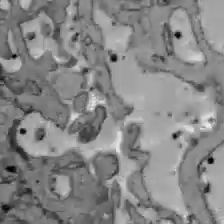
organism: C57BL Mouse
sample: Liver